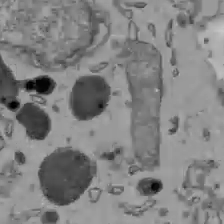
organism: C57BL Mouse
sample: Liver